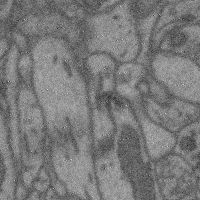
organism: Mouse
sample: Cerebral cortex